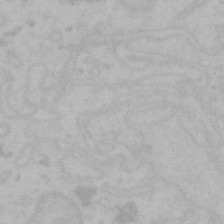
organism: Mouse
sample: Choroid plexus